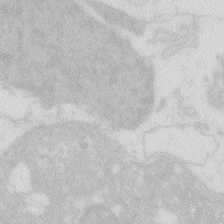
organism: Zebrafish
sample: Macrophage